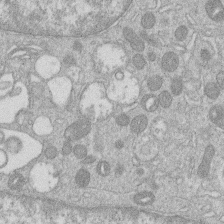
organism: Human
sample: Macrophage cells